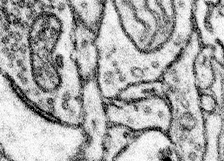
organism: Mouse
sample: Somatosensory cortex neuropil